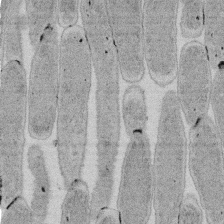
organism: E. coli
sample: Bacterial nucleoid